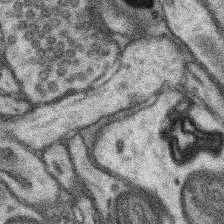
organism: Mouse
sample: Somatosensory cortex neuropil